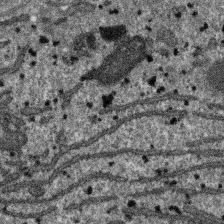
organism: Human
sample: Lung epithelial cells infected with SARS-CoV-2